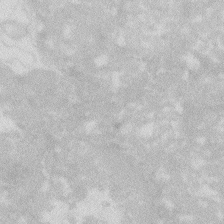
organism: Zebrafish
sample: Macrophage